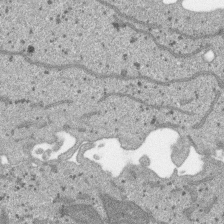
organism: Human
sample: Lung epithelial cells infected with SARS-CoV-2